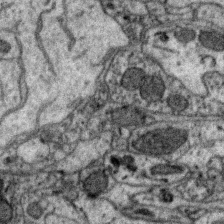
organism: Zebra finch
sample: Brain